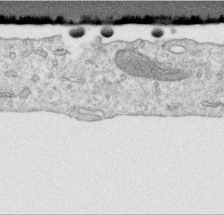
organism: Human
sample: Centriole in RPE cells